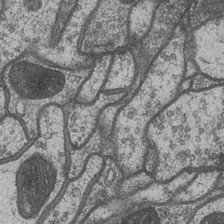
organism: Drosophila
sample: Optic medulla